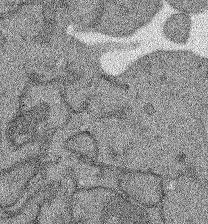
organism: Human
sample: HeLa cells